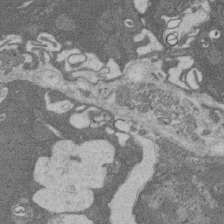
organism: Rat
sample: Salivary granule